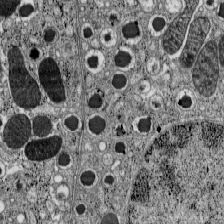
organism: C57BL Mouse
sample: Pancreatic islet